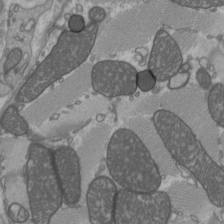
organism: C57BL Mouse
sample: Heart